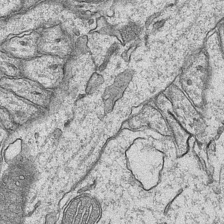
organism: Mouse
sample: CA1 Hippocampus